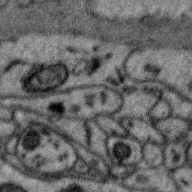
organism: Zebra finch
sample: Brain